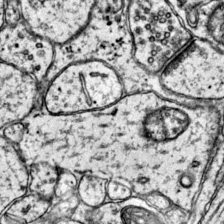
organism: Mouse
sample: Primary visual cortex